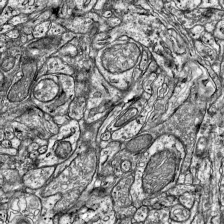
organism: Mouse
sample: Visual Cortex